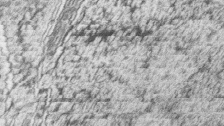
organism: Zebrafish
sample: synaptic ribbons in rod cells and cone cells